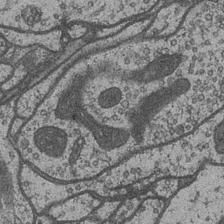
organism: Drosophila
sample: Optic medulla